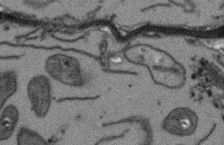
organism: Arabidopsis thaliana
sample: Root tip